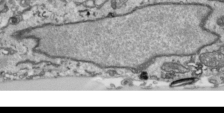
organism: Human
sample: Mitochondria in HCT116 cells